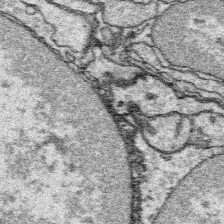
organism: Platynereis dumerilii